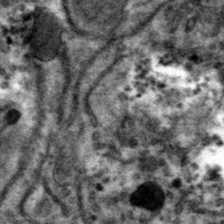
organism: Mouse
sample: Mouse hepatocytes